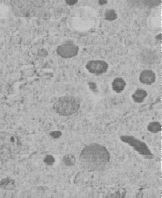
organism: C. elegans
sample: C. elegans embryo early stage